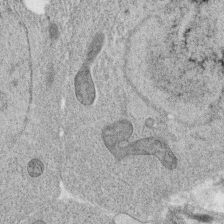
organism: C. elegans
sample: C. elegans oocyte; sperm cells